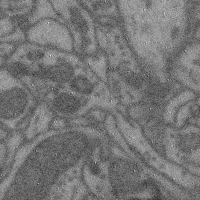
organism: Mouse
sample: Cerebral cortex